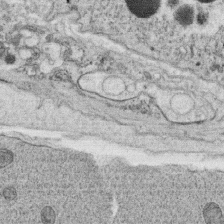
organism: C. elegans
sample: C. elegans oocyte; sperm cells